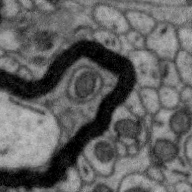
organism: Zebra finch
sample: Brain